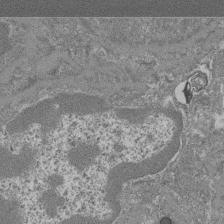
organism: Mouse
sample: Glomerulus